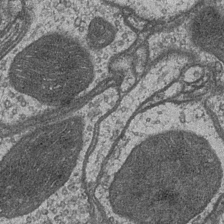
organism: Drosophila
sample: Optic medulla